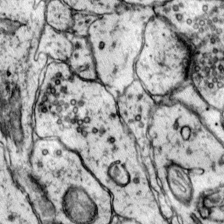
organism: Mouse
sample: Primary visual cortex